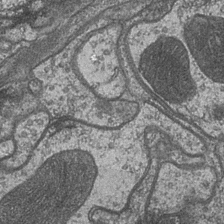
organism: Drosophila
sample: Optic medulla